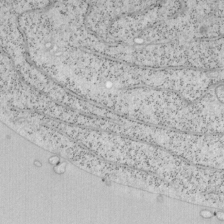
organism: Mouse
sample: OT-I killer T cells with ID8 ovarian cancer cells